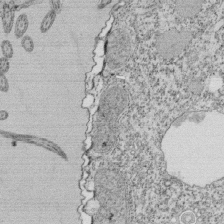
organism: Tetrahymena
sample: Cilia in tetrahymena